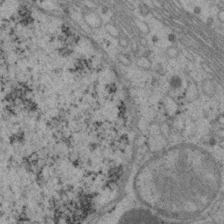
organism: Human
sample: HeLa cells